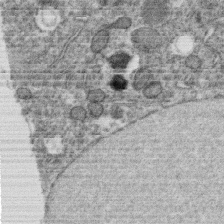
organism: C. elegans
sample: C. elegans oocyte; sperm cells